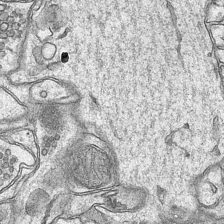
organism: Mouse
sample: CA1 Hippocampus